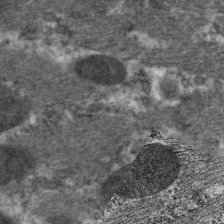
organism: C. elegans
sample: Pharynx